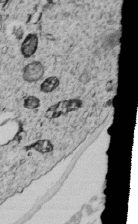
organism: C. elegans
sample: C. elegans embryo early stage